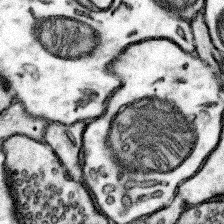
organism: Mouse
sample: Somatosensory cortex neuropil